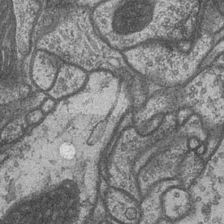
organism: Drosophila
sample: Optic medulla